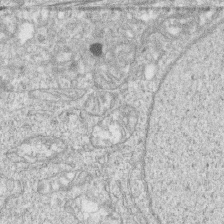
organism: Human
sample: HeLa cell HIV synapse